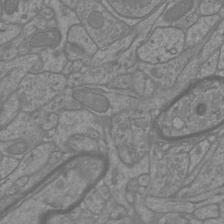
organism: Mouse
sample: Cortical neurons